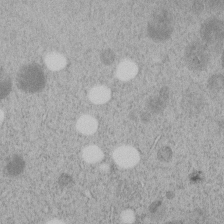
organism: C. elegans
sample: C. elegans embryo early stage